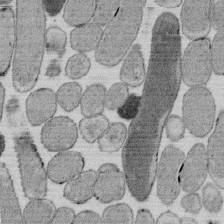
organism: E. coli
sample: Bacterial nucleoid